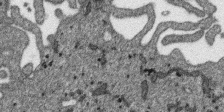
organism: Human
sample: Lung epithelial cells infected with SARS-CoV-2